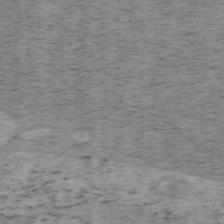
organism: Mouse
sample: OT-I killer T cells with ID8 ovarian cancer cells